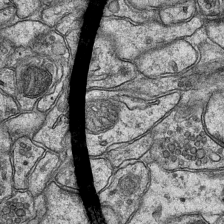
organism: Mouse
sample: CA1 Hippocampus